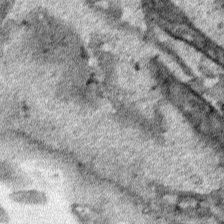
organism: Human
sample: Mitochondria in HCT116 cells